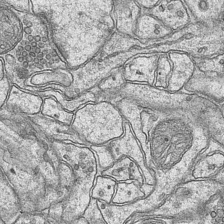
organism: Mouse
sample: CA1 Hippocampus